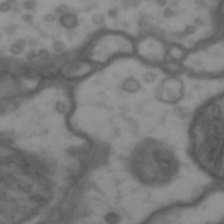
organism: Drosophila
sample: Brain